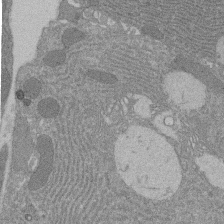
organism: Rat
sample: Salivary granule